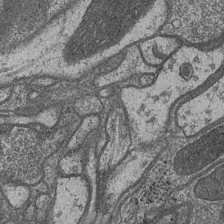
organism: Drosophila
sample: Optic medulla